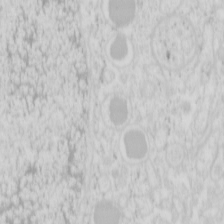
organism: Mouse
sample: Pancreas